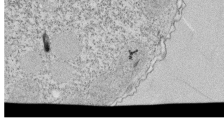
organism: Tetrahymena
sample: Cilia in tetrahymena